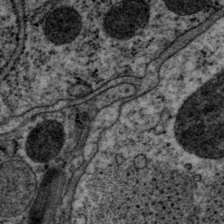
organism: P. pacificus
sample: Pharynx